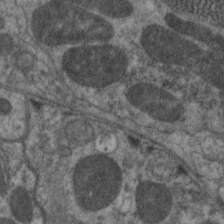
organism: C. elegans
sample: Pharynx